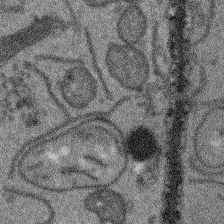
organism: Arabidopsis thaliana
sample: Root tip